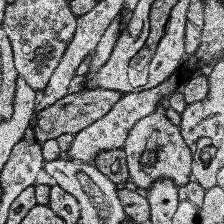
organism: Human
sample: Temporal Lobe